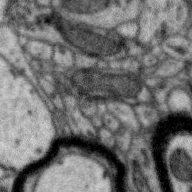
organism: Zebra finch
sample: Brain